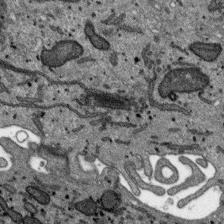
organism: Human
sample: Lung epithelial cells, uninfected (mock) control